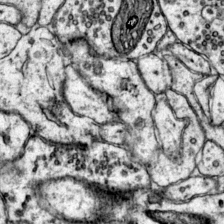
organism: Mouse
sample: Primary visual cortex